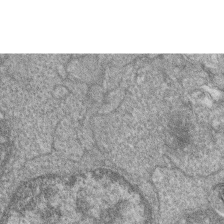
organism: Zebrafish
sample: Cilia; retinal pigment epithelium